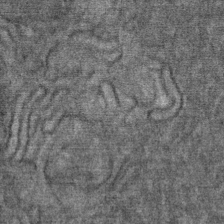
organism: Mouse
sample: Mouse Salivary gland